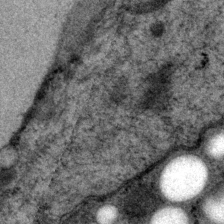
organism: P. pacificus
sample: Pharynx